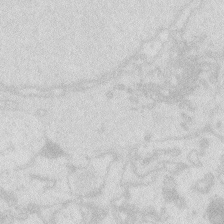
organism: Zebrafish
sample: Macrophage